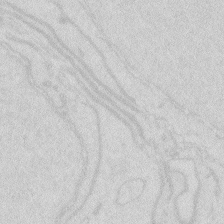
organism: Zebrafish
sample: Macrophage